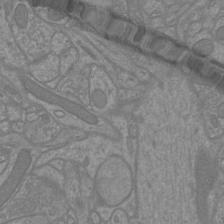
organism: Mouse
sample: Cortical neurons